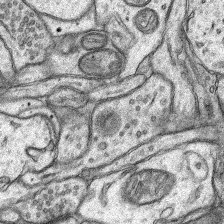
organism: Rat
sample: Hippocampus